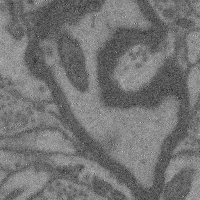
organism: Mouse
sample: Cerebral cortex